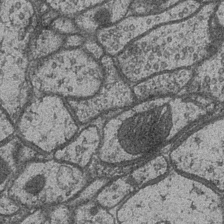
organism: Drosophila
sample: Optic medulla